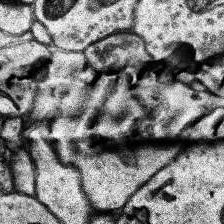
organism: Human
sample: Temporal Lobe